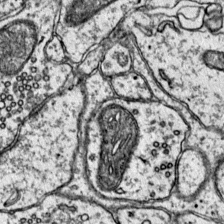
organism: Mouse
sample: Primary visual cortex